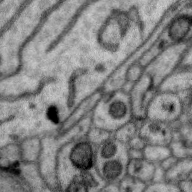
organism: Zebra finch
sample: Brain